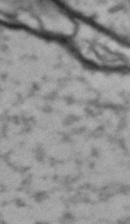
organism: Drosophila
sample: Brain